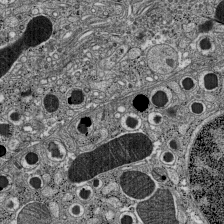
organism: C57BL Mouse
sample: Pancreatic islet